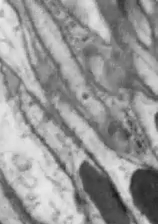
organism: Drosophila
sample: Optic lobe